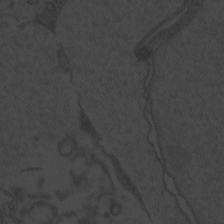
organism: Zebrafish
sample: Macrophage infected with Toxoplasma gondii